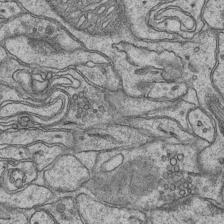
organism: Mouse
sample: CA1 Hippocampus